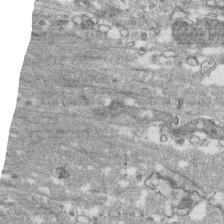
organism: Human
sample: CRL-1474